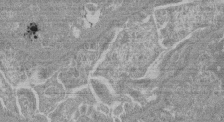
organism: Mouse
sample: Glomerulus